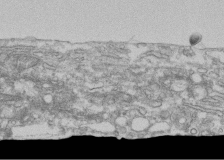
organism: Human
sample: Fibroblast cells